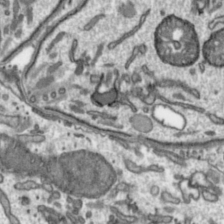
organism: Toxoplasma gondii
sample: Parasites in a vacuole inside a host cell